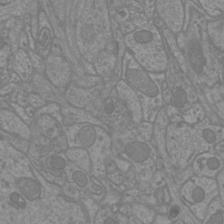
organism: Mouse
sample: Cortical neurons